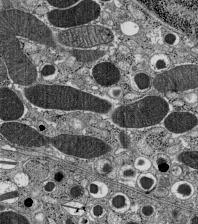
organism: C57BL Mouse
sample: Pancreatic islet